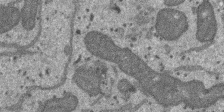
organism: Human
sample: Lung epithelial cells infected with SARS-CoV-2